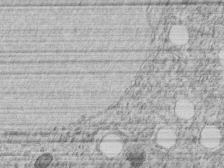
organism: C. elegans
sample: C. elegans embryo early stage